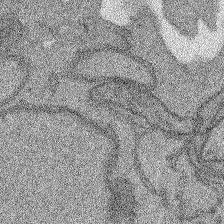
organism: Human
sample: HeLa cells